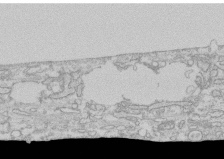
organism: Human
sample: CRL-1474